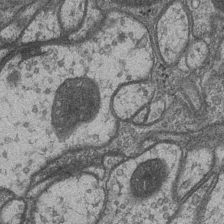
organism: Drosophila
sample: Optic medulla